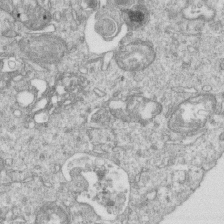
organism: Mouse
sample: Activated OT-1 CD8+ T cells